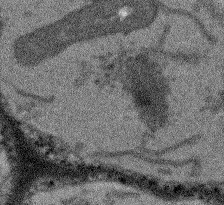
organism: Arabidopsis thaliana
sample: Root tip